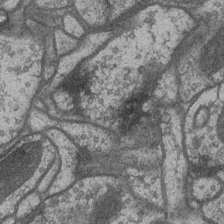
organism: Drosophila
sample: Optic medulla